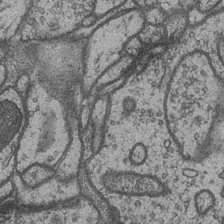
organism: Drosophila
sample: Optic medulla